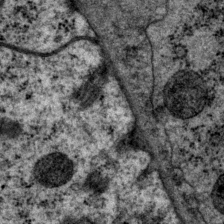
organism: P. pacificus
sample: Pharynx